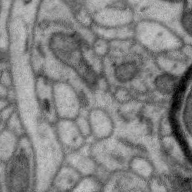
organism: Zebra finch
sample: Brain